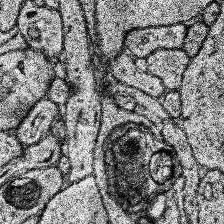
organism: Human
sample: Temporal Lobe